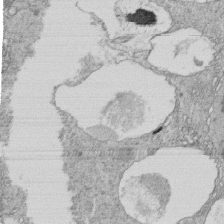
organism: Tetrahymena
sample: Cilia in tetrahymena